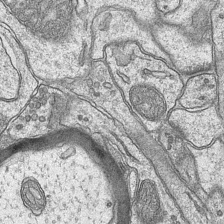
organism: Mouse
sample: CA1 Hippocampus